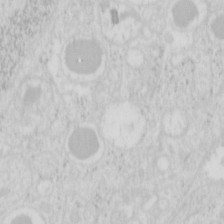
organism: Mouse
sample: Pancreas